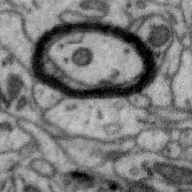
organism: Zebra finch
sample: Brain